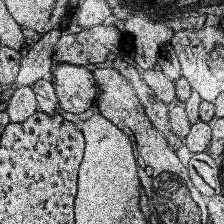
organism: Human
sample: Temporal Lobe